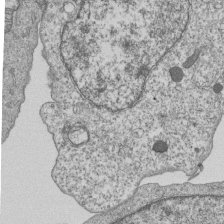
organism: Human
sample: MDA-MB-231 cells